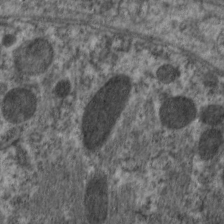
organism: C. elegans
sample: Pharynx